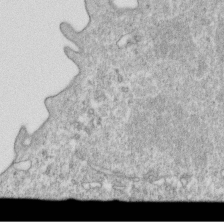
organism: Mouse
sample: Activated OT-1 CD8+ T cells